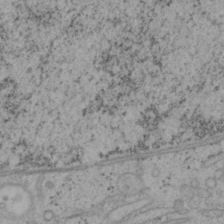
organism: Human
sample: HeLa cells